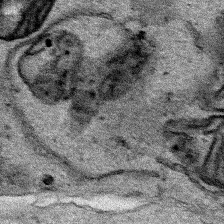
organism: Human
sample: Mitochondria in HCT116 cells